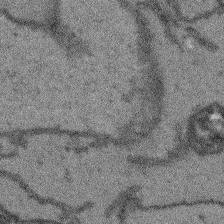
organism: Arabidopsis thaliana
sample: Root tip